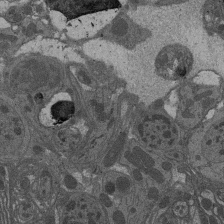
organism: Drosophila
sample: Antenna